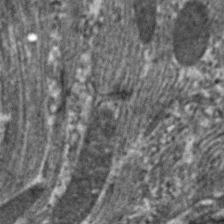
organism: C. elegans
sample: Pharynx